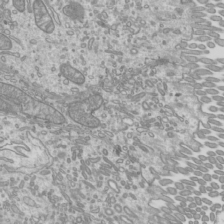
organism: Mouse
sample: Cilia; mouse epididymis